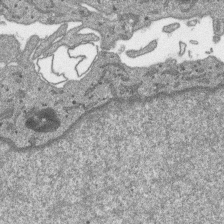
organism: Human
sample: Lung epithelial cells infected with SARS-CoV-2